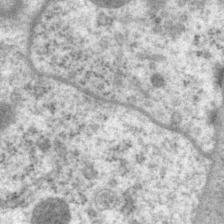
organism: P. pacificus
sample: Pharynx